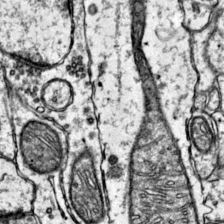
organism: Mouse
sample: Primary visual cortex